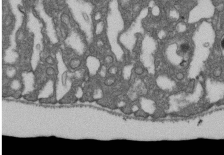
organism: Drosophila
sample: Nephrocyte